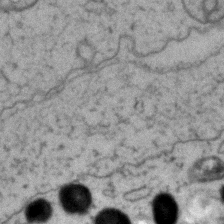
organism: Zebrafish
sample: Zebrafish embryo